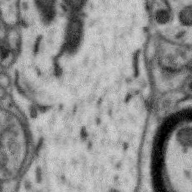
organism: Zebra finch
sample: Brain